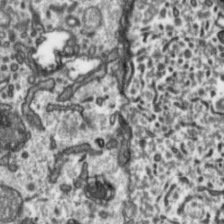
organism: Toxoplasma gondii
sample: Parasites in a vacuole inside a host cell